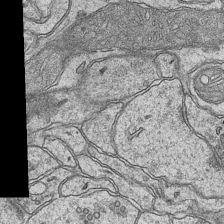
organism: Mouse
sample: CA1 Hippocampus